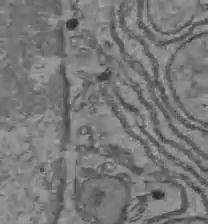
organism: C57BL Mouse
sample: Liver